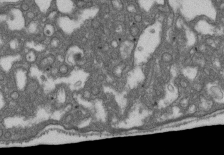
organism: Drosophila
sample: Nephrocyte